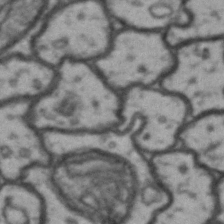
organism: Drosophila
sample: Brain